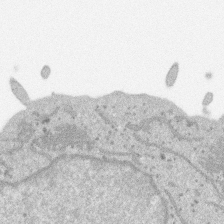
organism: Human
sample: Lung epithelial cells infected with SARS-CoV-2